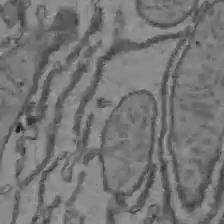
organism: C57BL Mouse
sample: Liver